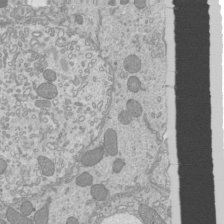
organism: Mouse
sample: Cilia; mouse epididymis